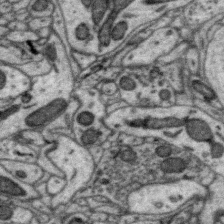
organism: Zebra finch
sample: Brain